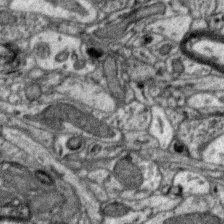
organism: Zebra finch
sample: Brain